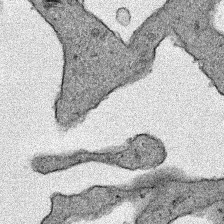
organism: Human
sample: Mitochondria in HCT116 cells